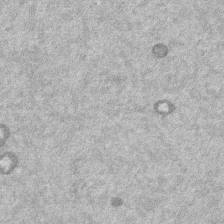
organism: Mouse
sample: Dividing mouse embryo 1 cell stage